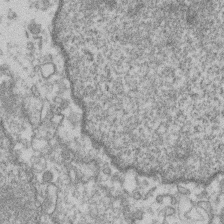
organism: Mouse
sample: T cell stromal cell synapse